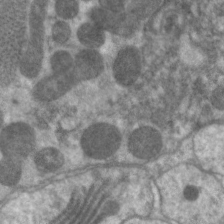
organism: C. elegans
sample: Pharynx